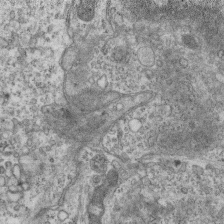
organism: Mouse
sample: Centriole in ependymal cells